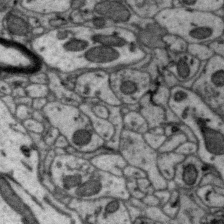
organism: Zebra finch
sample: Brain